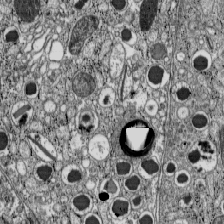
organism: C57BL Mouse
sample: Pancreatic islet